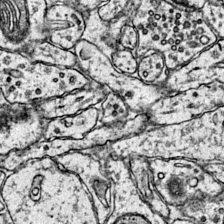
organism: Mouse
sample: Primary visual cortex